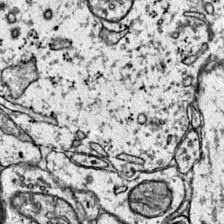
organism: Mouse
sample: Primary visual cortex